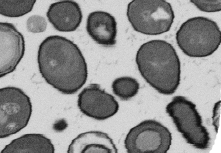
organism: B. subtilis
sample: Bacterial spore